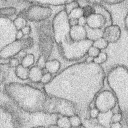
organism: Rabbit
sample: Retina